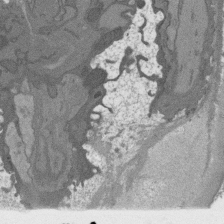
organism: C. elegans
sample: AFD neurons C. elegans